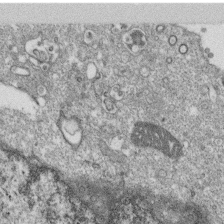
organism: African green monkey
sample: Vero E6 cells infected with SARS-CoV-2